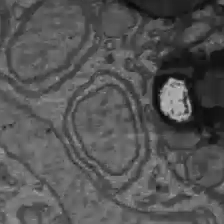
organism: C57BL Mouse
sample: Liver